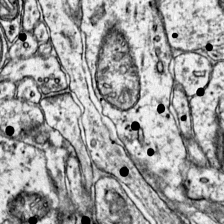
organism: Mouse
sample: Primary visual cortex